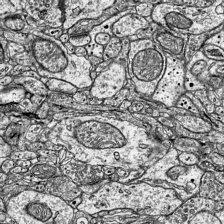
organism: Mouse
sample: Visual Cortex